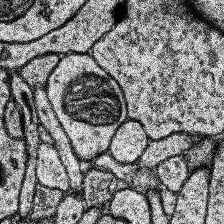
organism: Human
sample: Temporal Lobe